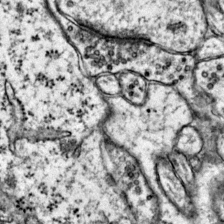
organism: Mouse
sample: Primary visual cortex